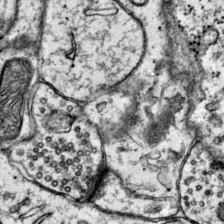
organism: Mouse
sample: Primary visual cortex